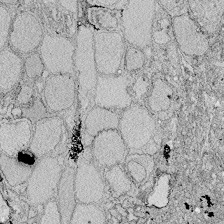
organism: Zebrafish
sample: Whole-Brain